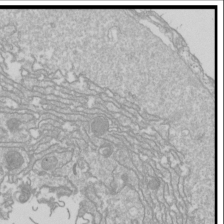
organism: Drosophila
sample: Cell division; meiosis; drosophila spermatocytes